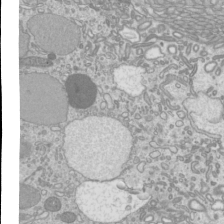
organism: Mouse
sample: Cilia; mouse epididymis